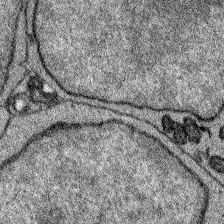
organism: Zebrafish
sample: Larval olfactory bulb